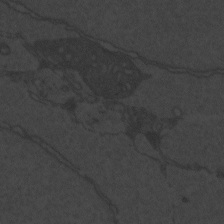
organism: Zebrafish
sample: Macrophage infected with Toxoplasma gondii